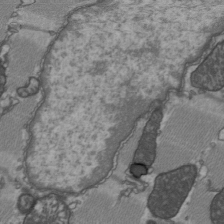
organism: C57BL Mouse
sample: Heart